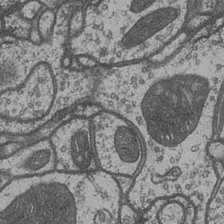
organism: Drosophila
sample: Optic medulla